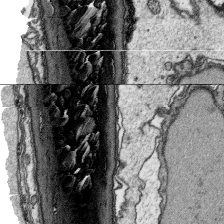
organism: Platynereis dumerilii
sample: Parapodia